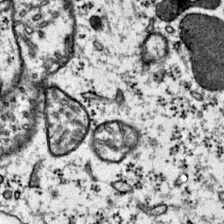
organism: Mouse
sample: Primary visual cortex